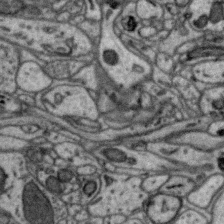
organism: Zebra finch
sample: Brain